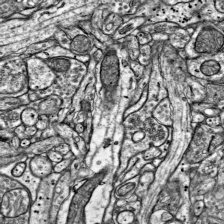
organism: Mouse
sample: Visual Cortex